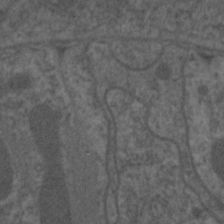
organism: C. elegans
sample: Pharynx